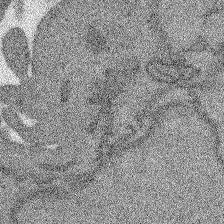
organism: Human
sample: HeLa cells